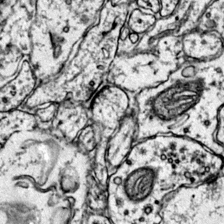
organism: Mouse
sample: Primary visual cortex